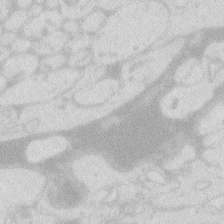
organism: Zebrafish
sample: Macrophage